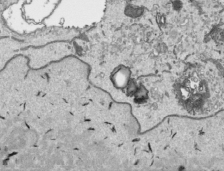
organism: Human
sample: Mitochondria in HCT116 cells